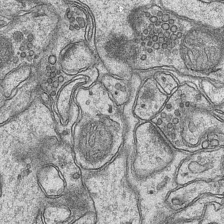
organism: Mouse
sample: CA1 Hippocampus